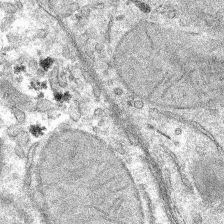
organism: Mouse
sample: Mouse hepatocytes